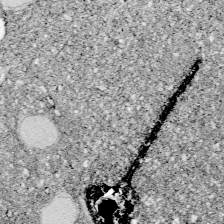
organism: Zebrafish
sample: Whole-Brain